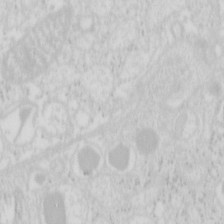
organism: Mouse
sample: Pancreas